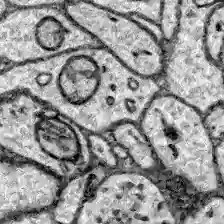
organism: Zebrafish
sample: Brain